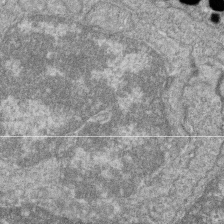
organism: Zebrafish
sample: Cilia; retinal pigment epithelium